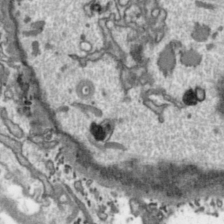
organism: Toxoplasma gondii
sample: Parasites in a vacuole inside a host cell